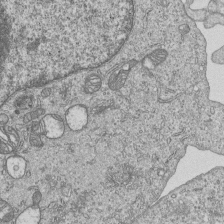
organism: Human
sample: MDA-MB-231 cells